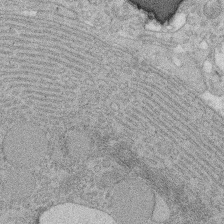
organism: Rat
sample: Salivary granule